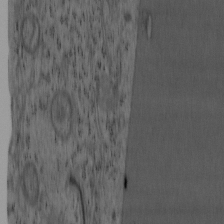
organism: Human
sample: HeLa cells